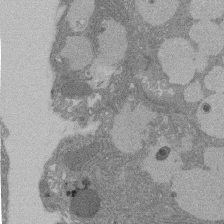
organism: Rat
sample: Salivary granule